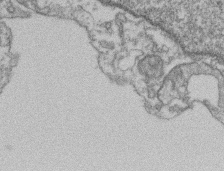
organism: Mouse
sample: T cell stromal cell synapse